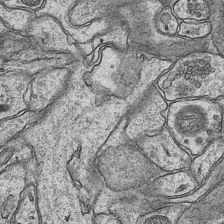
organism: Mouse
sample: CA1 Hippocampus